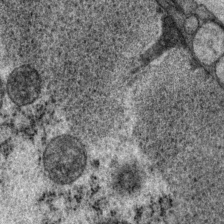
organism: P. pacificus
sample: Pharynx